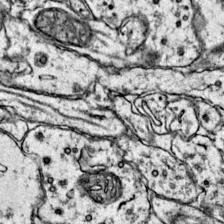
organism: Mouse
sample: Primary visual cortex